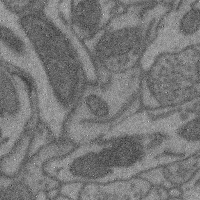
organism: Mouse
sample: Cerebral cortex